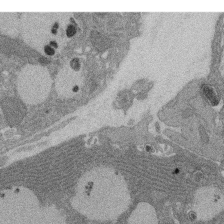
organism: Rat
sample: Salivary granule